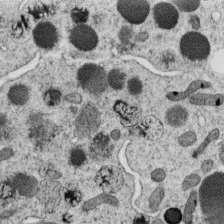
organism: C. elegans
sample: C. elegans oocyte; sperm cells